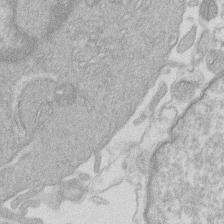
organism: Human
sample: Macrophage cells